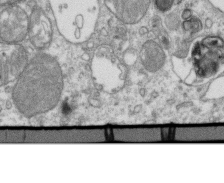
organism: Mouse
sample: Activated OT-1 CD8+ T cells